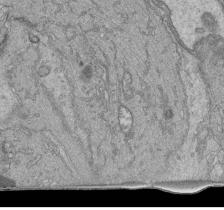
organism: Human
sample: Retinal organoid Rod and Cone cells